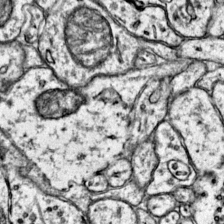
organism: Mouse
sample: Primary visual cortex